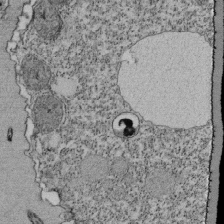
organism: Tetrahymena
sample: Cilia in tetrahymena